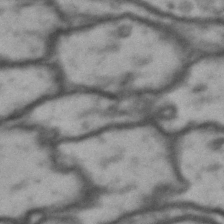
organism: Drosophila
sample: Brain